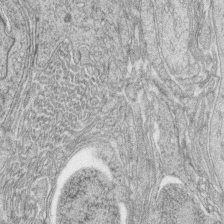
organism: Zebrafish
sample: synaptic ribbons in rod cells and cone cells